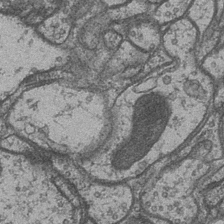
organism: Drosophila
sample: Optic medulla